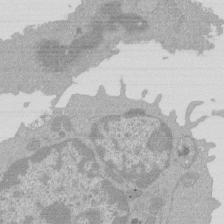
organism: Mouse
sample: Activated Pmel transgenic CD8+ T Cells